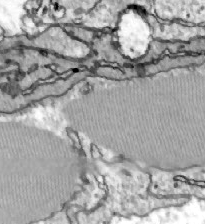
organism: Zebrafish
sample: Actinotrichia fibers